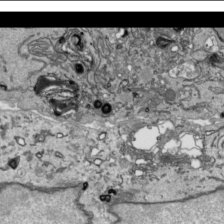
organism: Human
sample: Mitochondria in HCT116 cells